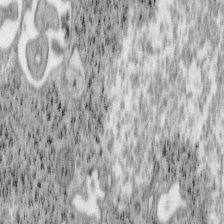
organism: Human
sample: HeLa cells